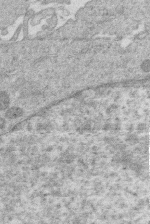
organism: Human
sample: Macrophage cells